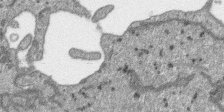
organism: Human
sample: Lung epithelial cells infected with SARS-CoV-2